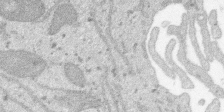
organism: Human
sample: Lung epithelial cells infected with SARS-CoV-2